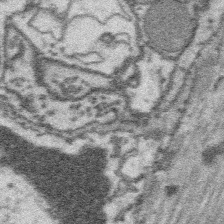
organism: Platynereis dumerilii